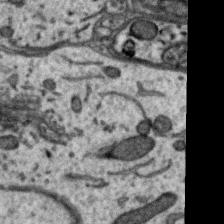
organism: Zebra finch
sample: Brain